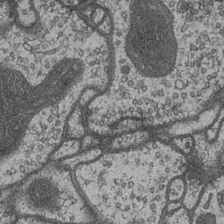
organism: Drosophila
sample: Optic medulla